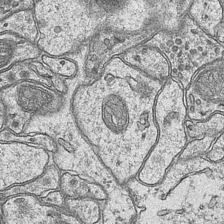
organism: Mouse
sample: CA1 Hippocampus